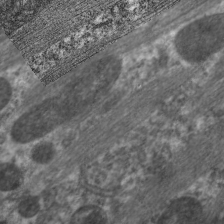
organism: C. elegans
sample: Pharynx